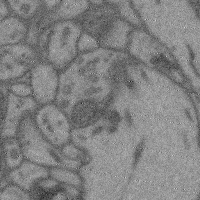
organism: Mouse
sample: Cerebral cortex